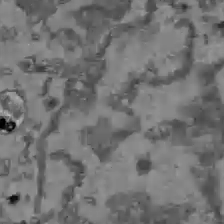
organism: C57BL Mouse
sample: Liver